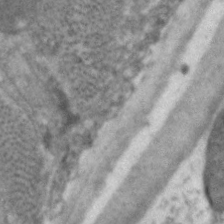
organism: C. elegans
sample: Pharynx